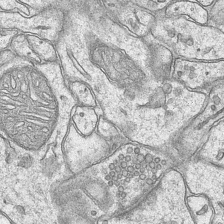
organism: Mouse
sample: CA1 Hippocampus